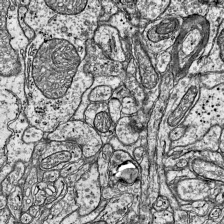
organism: Mouse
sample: Visual Cortex